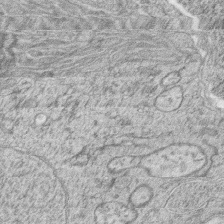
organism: Zebrafish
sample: synaptic ribbons in rod cells and cone cells